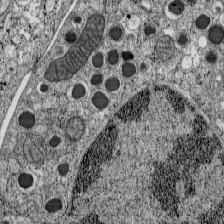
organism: C57BL Mouse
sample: Pancreatic islet